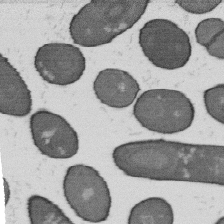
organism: B. subtilis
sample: Bacterial spore